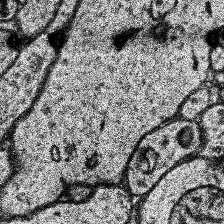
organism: Human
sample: Temporal Lobe